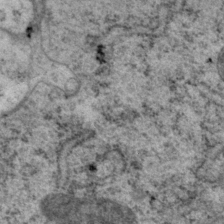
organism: P. pacificus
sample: Pharynx